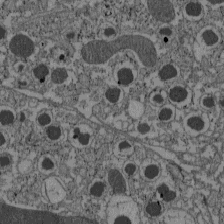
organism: C57BL Mouse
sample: Pancreatic islet